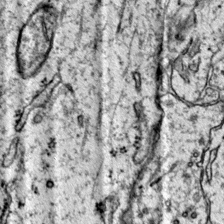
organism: Mouse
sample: Primary visual cortex